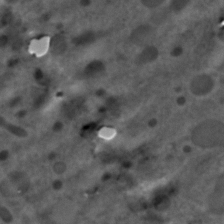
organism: C. elegans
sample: C. elegans embryo